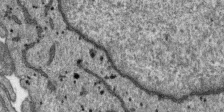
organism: Human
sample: Lung epithelial cells, uninfected (mock) control